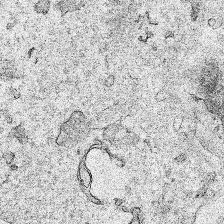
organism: Human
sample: Mitochondria in HCT116 cells